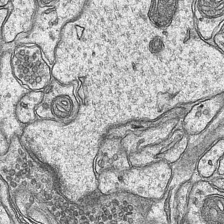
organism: Mouse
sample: CA1 Hippocampus